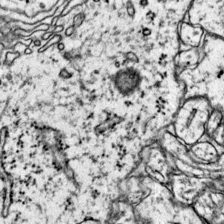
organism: Mouse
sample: Primary visual cortex